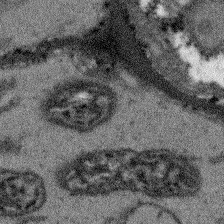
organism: Arabidopsis thaliana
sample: Root tip